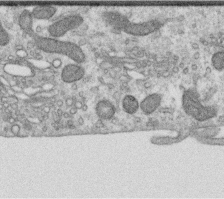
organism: Human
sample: Centriole in RPE cells